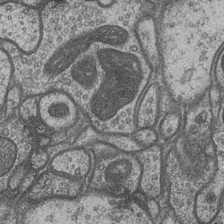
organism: Drosophila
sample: Optic medulla